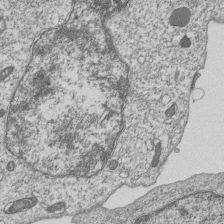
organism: Human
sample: MDA-MB-231 cells